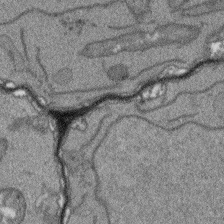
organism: Arabidopsis thaliana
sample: Root tip